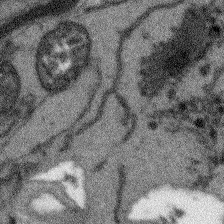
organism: Arabidopsis thaliana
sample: Root tip